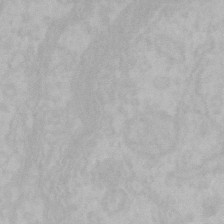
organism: Mouse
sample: Choroid plexus